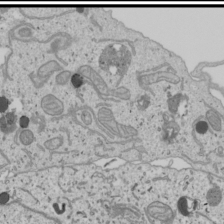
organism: Human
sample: Mitochondria in U2OS cells